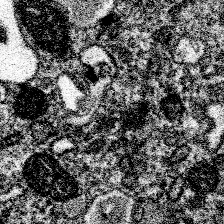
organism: Spongilla lacustris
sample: Neuroid cell